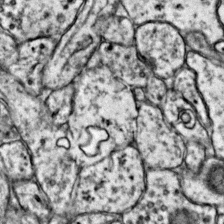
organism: Mouse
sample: Primary visual cortex